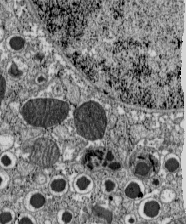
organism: C57BL Mouse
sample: Pancreatic islet